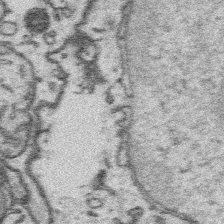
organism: Platynereis dumerilii